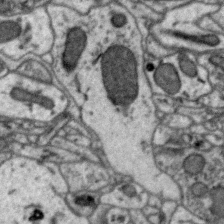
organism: Zebra finch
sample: Brain